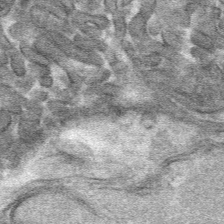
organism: Mouse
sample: Mouse hepatocytes